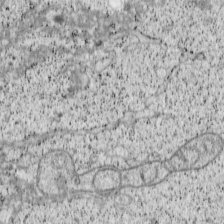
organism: African green monkey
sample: COS-7 cells